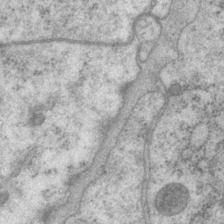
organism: P. pacificus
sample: Pharynx